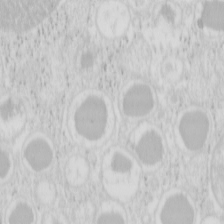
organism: Mouse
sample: Pancreas